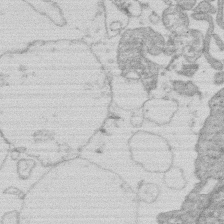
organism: Human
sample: Macrophage cells